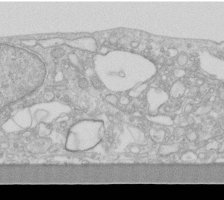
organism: Human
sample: Fibroblast cells